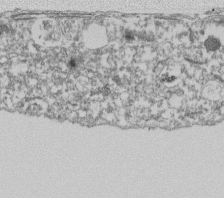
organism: Dictyostelium discoideum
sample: Dictyostelium multivesicular bodies